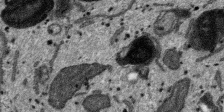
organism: Human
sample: Lung epithelial cells, uninfected (mock) control